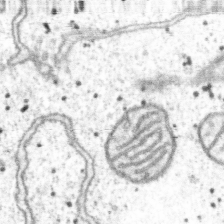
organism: Human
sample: HeLa cells